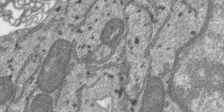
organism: Human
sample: Lung epithelial cells infected with SARS-CoV-2